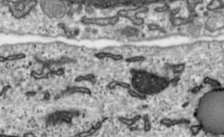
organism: Toxoplasma gondii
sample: Parasites in a vacuole inside a host cell